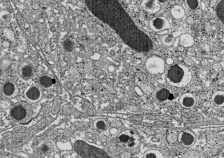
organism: C57BL Mouse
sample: Pancreatic islet